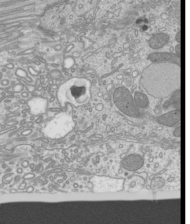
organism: Mouse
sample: Cilia; mouse epididymis